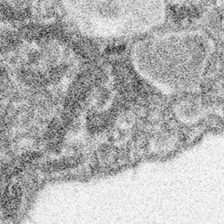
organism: Spongilla lacustris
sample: Neuroid cell